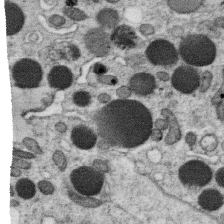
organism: C. elegans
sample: C. elegans oocyte; sperm cells